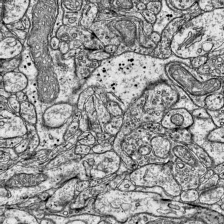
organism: Mouse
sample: Visual Cortex